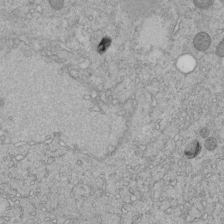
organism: C. elegans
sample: C. elegans embryo early stage